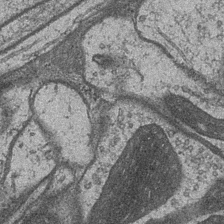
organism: Drosophila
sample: Optic medulla